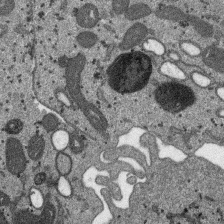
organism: Human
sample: Lung epithelial cells infected with SARS-CoV-2